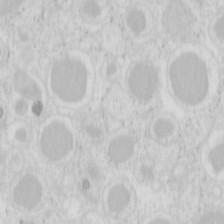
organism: Mouse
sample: Pancreas